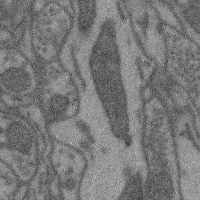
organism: Mouse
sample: Cerebral cortex